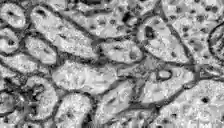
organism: Zebrafish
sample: Brain